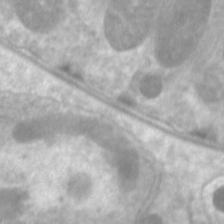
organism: C. elegans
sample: Pharynx